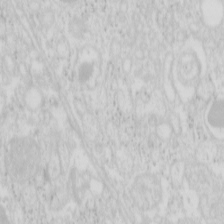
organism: Mouse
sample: Pancreas